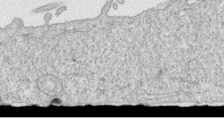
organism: Human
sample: HeLa cell HIV synapse